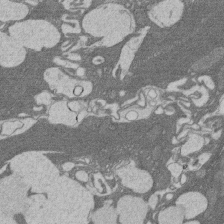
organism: Rat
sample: Salivary granule